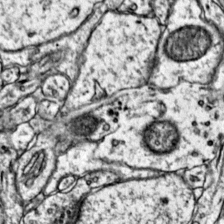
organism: Mouse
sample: Primary visual cortex